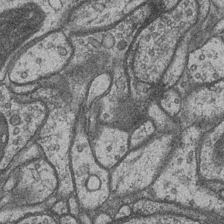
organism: Drosophila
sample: Optic medulla